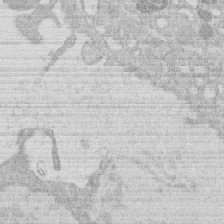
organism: Human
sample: Macrophage cells